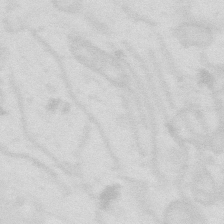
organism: Human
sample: HeLa cells